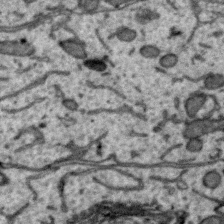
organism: Zebra finch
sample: Brain